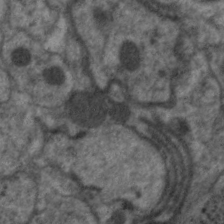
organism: C. elegans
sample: Pharynx